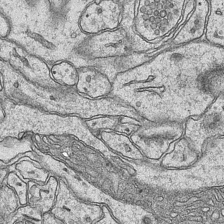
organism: Mouse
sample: CA1 Hippocampus